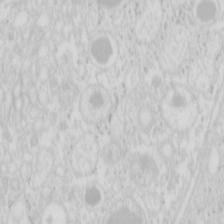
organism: Mouse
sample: Pancreas